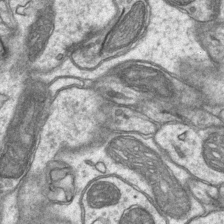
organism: Mouse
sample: CA1 Hippocampus